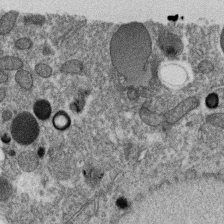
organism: C. elegans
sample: C. elegans oocyte; sperm cells